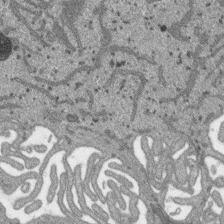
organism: Human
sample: Lung epithelial cells infected with SARS-CoV-2